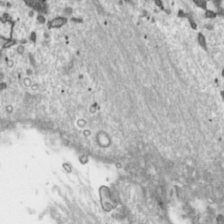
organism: Toxoplasma gondii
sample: Parasites in a vacuole inside a host cell